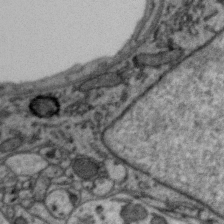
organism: Zebra finch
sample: Brain